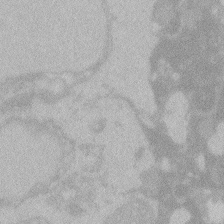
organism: Zebrafish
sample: Macrophage infected with Toxoplasma gondii